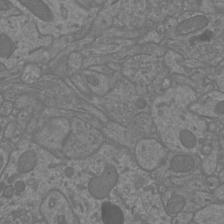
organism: Mouse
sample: Cortical neurons